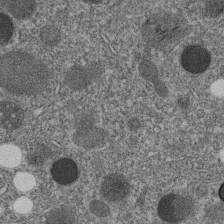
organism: C. elegans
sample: C. elegans embryo early stage